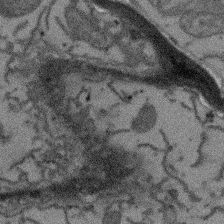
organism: Arabidopsis thaliana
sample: Root tip